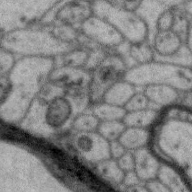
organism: Zebra finch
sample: Brain